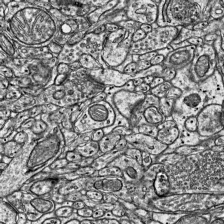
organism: Mouse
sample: Visual Cortex